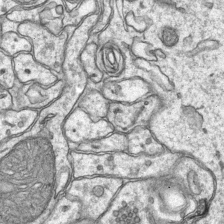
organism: Mouse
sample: CA1 Hippocampus